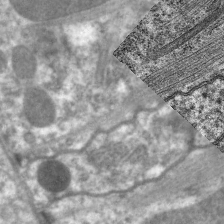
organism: C. elegans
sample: Pharynx